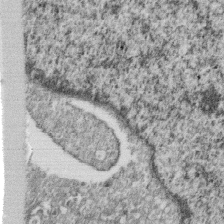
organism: African green monkey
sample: Vero E6 cells infected with SARS-CoV-2